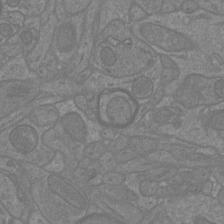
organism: Mouse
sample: Cortical neurons